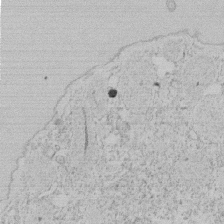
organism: Tetrahymena